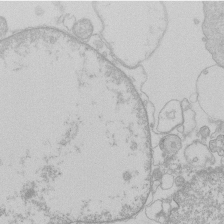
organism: Human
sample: Macrophage cells